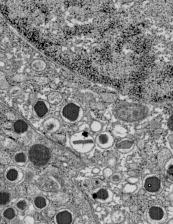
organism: C57BL Mouse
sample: Pancreatic islet